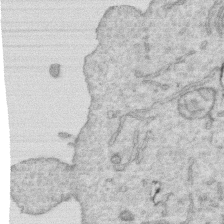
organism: Human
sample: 1205lu cells